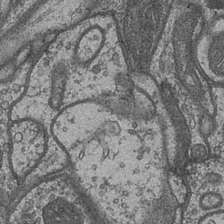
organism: Drosophila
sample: Optic medulla